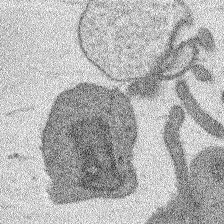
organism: Human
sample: HeLa cells